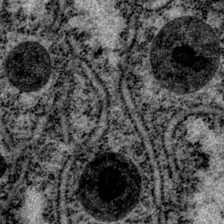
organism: P. pacificus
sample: Pharynx